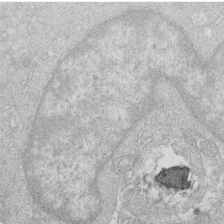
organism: Human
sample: Macrophage cells